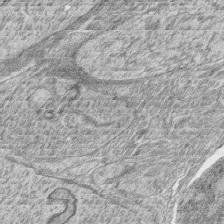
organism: Zebrafish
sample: synaptic ribbons in rod cells and cone cells